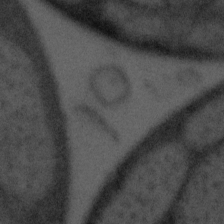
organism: Tuwongella immobilis